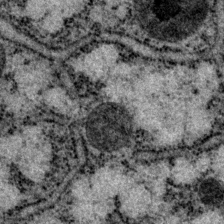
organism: P. pacificus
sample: Pharynx